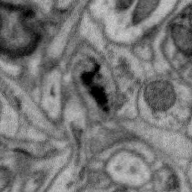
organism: Zebra finch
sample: Brain